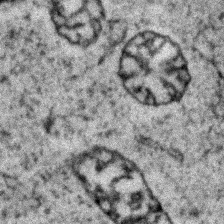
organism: Zebrafish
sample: Zebrafish embryo